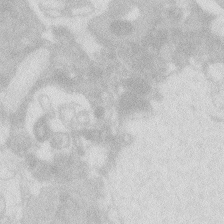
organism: Zebrafish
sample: Macrophage